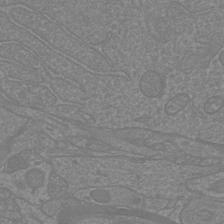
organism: Mouse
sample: Cortical neurons